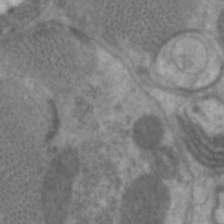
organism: C. elegans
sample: Pharynx